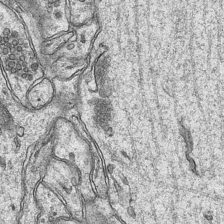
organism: Mouse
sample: CA1 Hippocampus